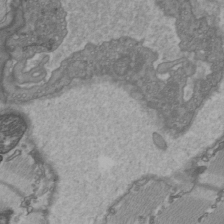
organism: C57BL Mouse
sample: Heart